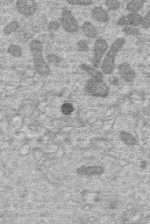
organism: Human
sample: Macrophage cells